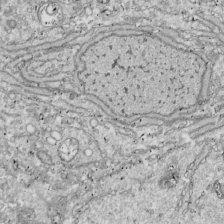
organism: Drosophila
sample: Cell division; meiosis; drosophila spermatocytes